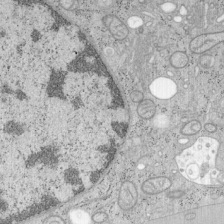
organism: Mouse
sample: OT-I killer T cells with ID8 ovarian cancer cells